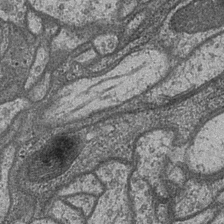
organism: Drosophila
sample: Optic medulla